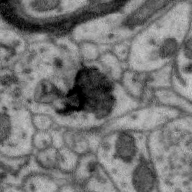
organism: Zebra finch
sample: Brain